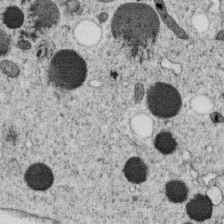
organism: C. elegans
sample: C. elegans oocyte; sperm cells